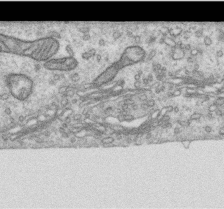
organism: Human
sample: Centriole in RPE cells